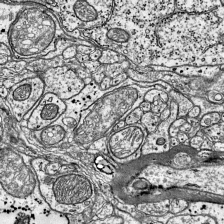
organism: Mouse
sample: Visual Cortex